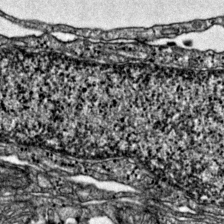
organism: Mouse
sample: Primary visual cortex